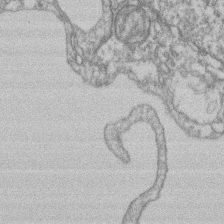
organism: Mouse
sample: T cell stromal cell synapse